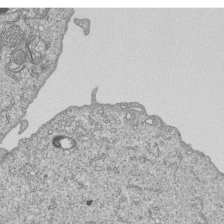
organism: Human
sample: MDA-MB-231 cells